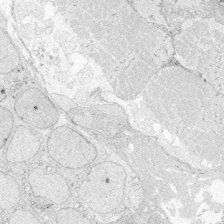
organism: Zebrafish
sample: Whole-Brain